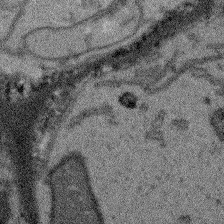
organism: Arabidopsis thaliana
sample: Root tip